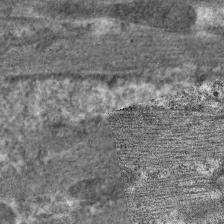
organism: C. elegans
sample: Pharynx